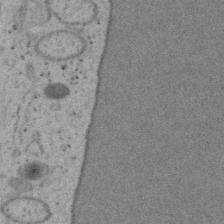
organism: Human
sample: HeLa cells